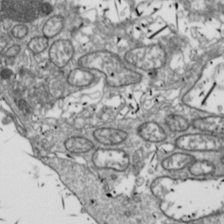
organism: Drosophila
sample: Cell division; meiosis; drosophila spermatocytes